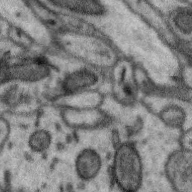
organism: Zebra finch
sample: Brain